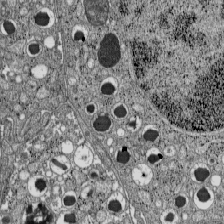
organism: C57BL Mouse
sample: Pancreatic islet